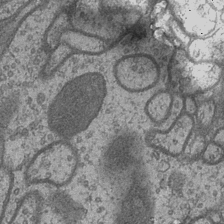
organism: Drosophila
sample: Optic medulla